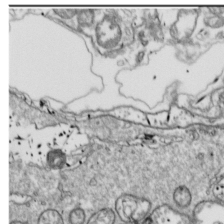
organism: Drosophila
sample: Cell division; meiosis; drosophila spermatocytes